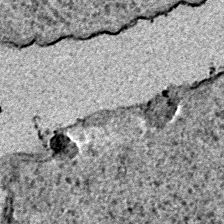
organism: E. coli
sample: E. Coli Bacteria